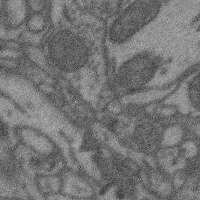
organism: Mouse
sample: Cerebral cortex